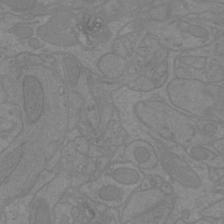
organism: Mouse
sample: Cortical neurons